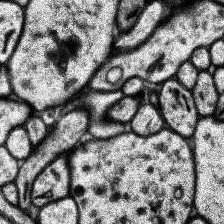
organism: Human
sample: Temporal Lobe